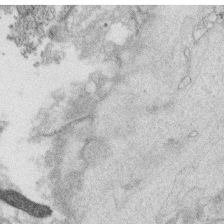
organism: C. elegans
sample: C. elegans oocyte; sperm cells